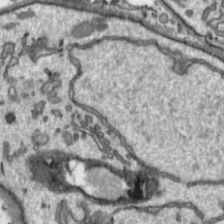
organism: Toxoplasma gondii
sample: Parasites in a vacuole inside a host cell